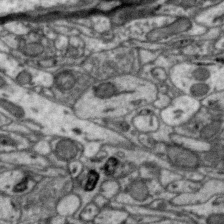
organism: Zebra finch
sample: Brain